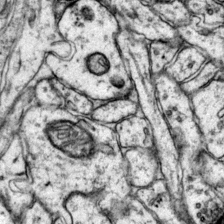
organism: Mouse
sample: Primary visual cortex